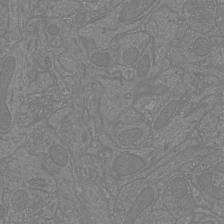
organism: Mouse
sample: Cortical neurons